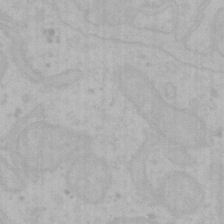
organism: Mouse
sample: Choroid plexus